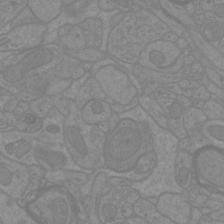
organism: Mouse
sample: Cortical neurons